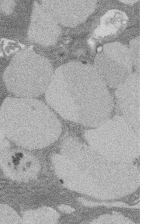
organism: Rat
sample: Salivary granule